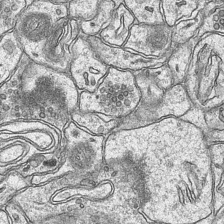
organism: Mouse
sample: CA1 Hippocampus